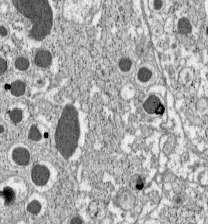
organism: C57BL Mouse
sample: Pancreatic islet